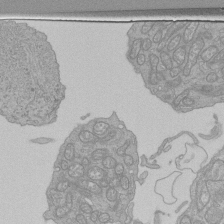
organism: Human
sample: Retinal organoid Rod and Cone cells